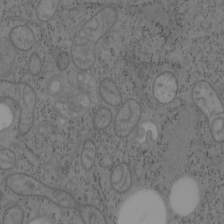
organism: Mouse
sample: OT-I killer T cells with ID8 ovarian cancer cells